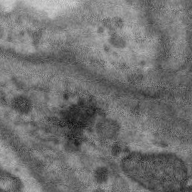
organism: Zebra finch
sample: Brain